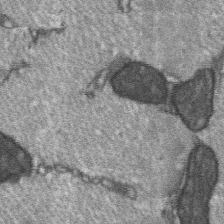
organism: C57BL Mouse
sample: Soleus